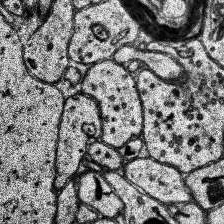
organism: Human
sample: Temporal Lobe